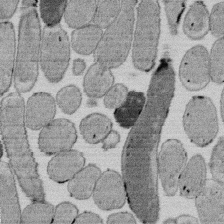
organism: E. coli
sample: Bacterial nucleoid